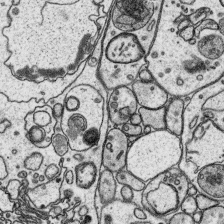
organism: Platynereis dumerilii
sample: Parapodia